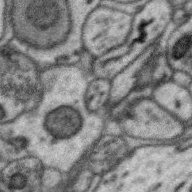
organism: Zebra finch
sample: Brain